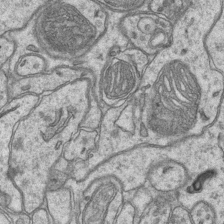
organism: Mouse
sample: CA1 Hippocampus